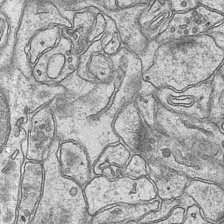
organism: Mouse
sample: CA1 Hippocampus